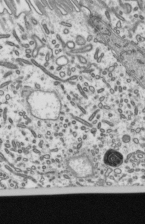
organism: Mouse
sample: Mouse epididymis efferent ductule cilia